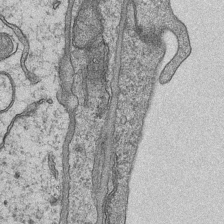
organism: Mouse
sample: CA1 Hippocampus